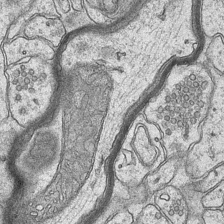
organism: Mouse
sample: CA1 Hippocampus